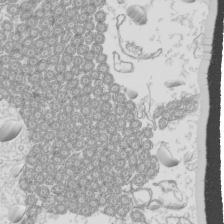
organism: Mouse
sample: Cilia; mouse epididymis